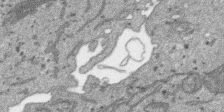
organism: Human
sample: Lung epithelial cells infected with SARS-CoV-2